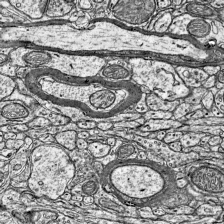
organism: Mouse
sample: Visual Cortex